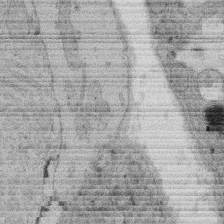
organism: Rat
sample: Salivary granule